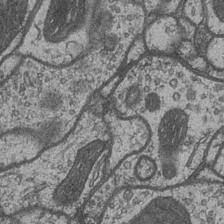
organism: Drosophila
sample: Optic medulla